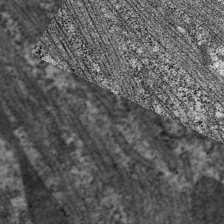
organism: C. elegans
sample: Pharynx